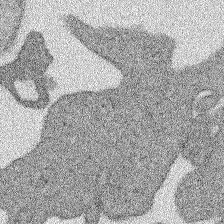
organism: Human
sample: HeLa cells